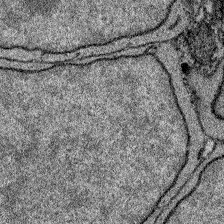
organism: Zebrafish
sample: Larval olfactory bulb